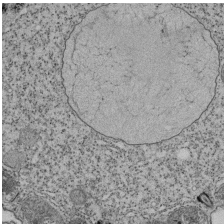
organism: Tetrahymena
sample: Cilia in tetrahymena